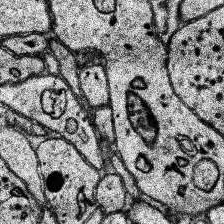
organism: Human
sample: Temporal Lobe